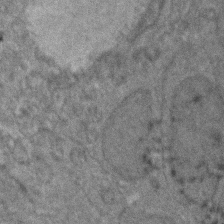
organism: Zebrafish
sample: Zebrafish embryo